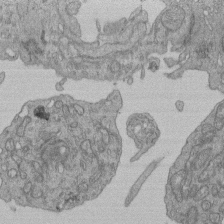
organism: Human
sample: Retinal organoid Rod and Cone cells